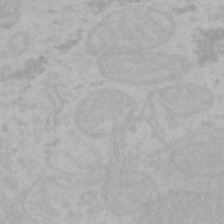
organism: Mouse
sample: Choroid plexus